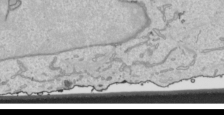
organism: Human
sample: Mitochondria in HCT116 cells